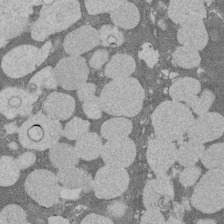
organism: Rat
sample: Salivary granule